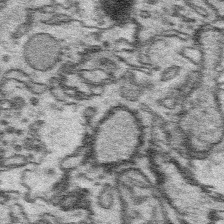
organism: Platynereis dumerilii